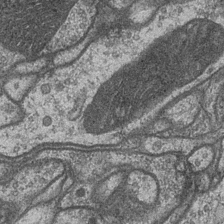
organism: Drosophila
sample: Optic medulla